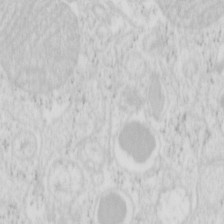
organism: Mouse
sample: Pancreas